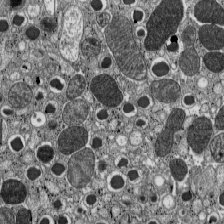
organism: C57BL Mouse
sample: Pancreatic islet